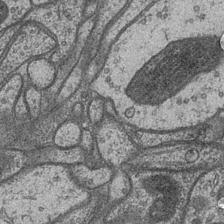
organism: Drosophila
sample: Optic medulla